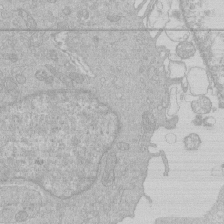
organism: Human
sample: Macrophage cells